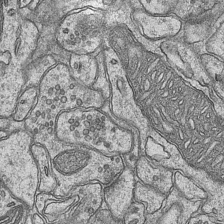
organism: Mouse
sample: CA1 Hippocampus